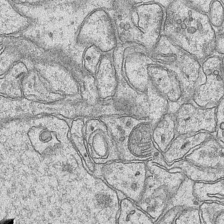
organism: Mouse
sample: CA1 Hippocampus